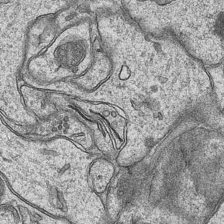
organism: Mouse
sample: CA1 Hippocampus